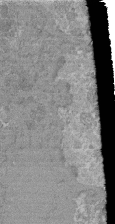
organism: Mouse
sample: Glomerulus